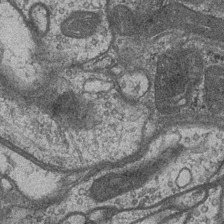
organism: Drosophila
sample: Optic medulla